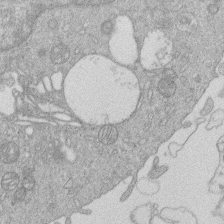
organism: Human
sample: Macrophage cells